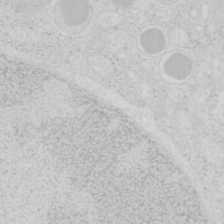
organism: Mouse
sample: Pancreas